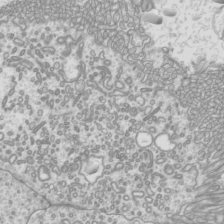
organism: Mouse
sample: Cilia; mouse epididymis